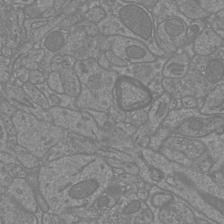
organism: Mouse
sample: Cortical neurons